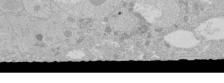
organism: Human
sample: Caco-2 cells